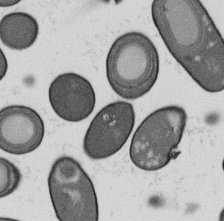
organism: B. subtilis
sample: Bacterial spore